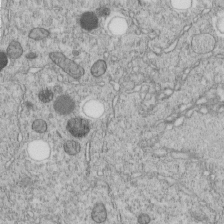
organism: C. elegans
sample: C. elegans embryo early stage